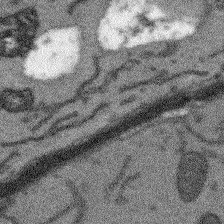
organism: Arabidopsis thaliana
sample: Root tip